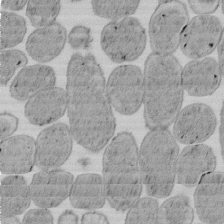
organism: E. coli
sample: Bacterial nucleoid